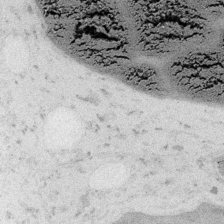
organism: Embia sp.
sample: Silk gland